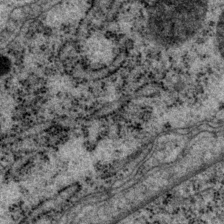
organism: P. pacificus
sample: Pharynx